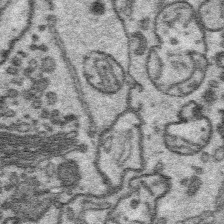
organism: Platynereis dumerilii